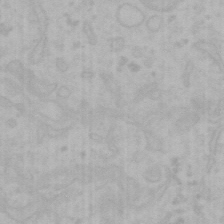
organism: Mouse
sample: Choroid plexus